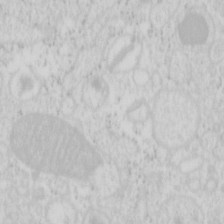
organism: Mouse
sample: Pancreas